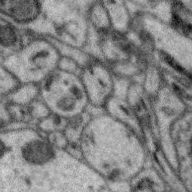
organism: Zebra finch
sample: Brain